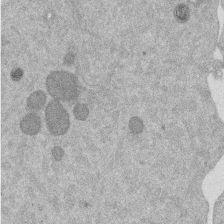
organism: Mouse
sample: Dividing mouse embryo 1 cell stage